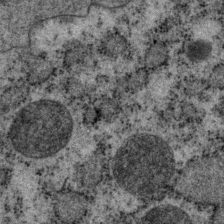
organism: P. pacificus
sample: Pharynx